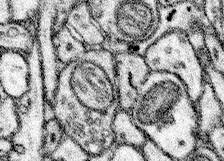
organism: Mouse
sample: Somatosensory cortex neuropil